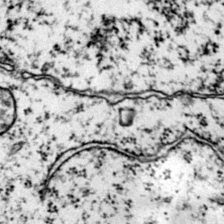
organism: Mouse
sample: Primary visual cortex